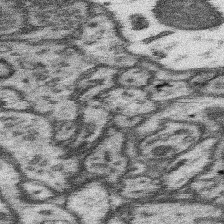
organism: Mouse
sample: Somatosensory cortex neuropil